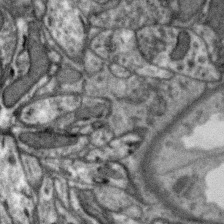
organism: Zebra finch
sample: Brain